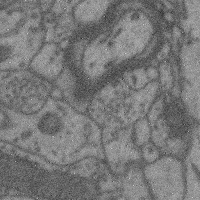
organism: Mouse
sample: Cerebral cortex